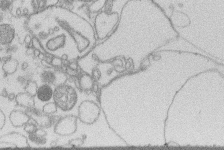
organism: Human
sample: Macrophage cells